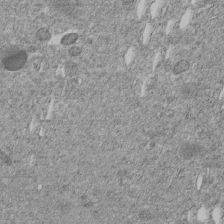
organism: C. elegans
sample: C. elegans embryo early stage